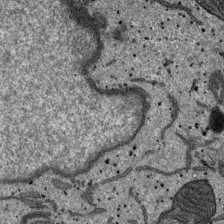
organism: Human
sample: Lung epithelial cells, uninfected (mock) control